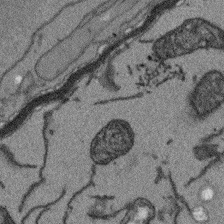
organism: Arabidopsis thaliana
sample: Root tip